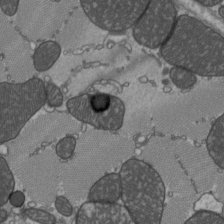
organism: C57BL Mouse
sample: Heart